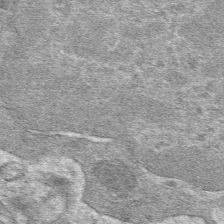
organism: Mouse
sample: Mouse hepatocytes